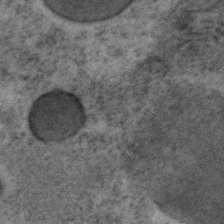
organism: C. elegans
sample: C. elegans embryo